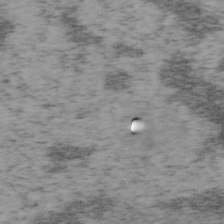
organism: Mouse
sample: OT-I killer T cells with ID8 ovarian cancer cells